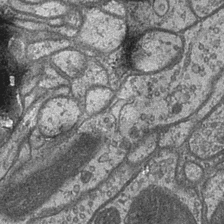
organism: Drosophila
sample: Optic medulla